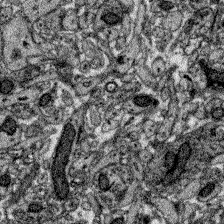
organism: Zebrafish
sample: Larval olfactory bulb